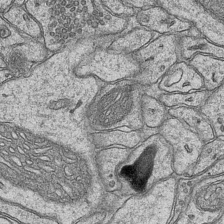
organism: Mouse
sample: CA1 Hippocampus